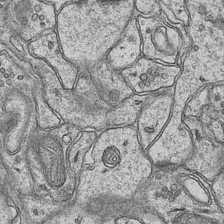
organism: Mouse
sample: CA1 Hippocampus